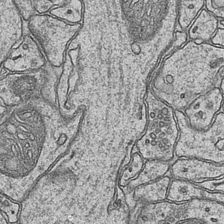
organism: Mouse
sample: CA1 Hippocampus